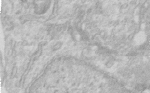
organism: Human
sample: Centriole in RPE cells